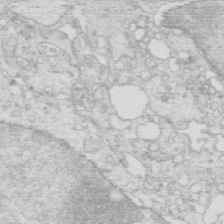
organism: Mouse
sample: Multiciliated cells